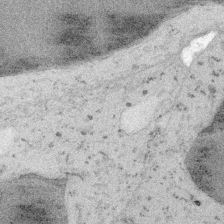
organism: Embia sp.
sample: Silk gland